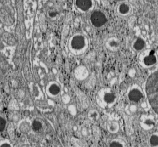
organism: C57BL Mouse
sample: Pancreatic islet